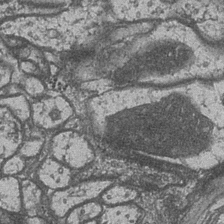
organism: Drosophila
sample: Optic medulla